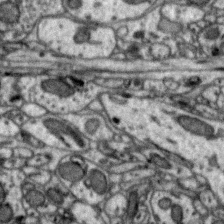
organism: Zebra finch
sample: Brain